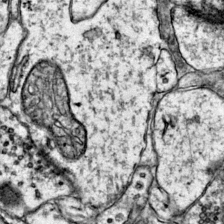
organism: Mouse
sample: Primary visual cortex